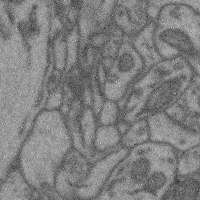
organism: Mouse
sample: Cerebral cortex